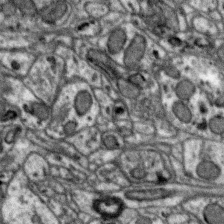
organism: Zebra finch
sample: Brain